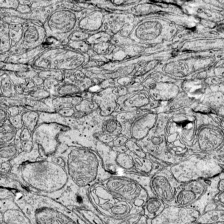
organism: Mouse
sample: Visual Cortex